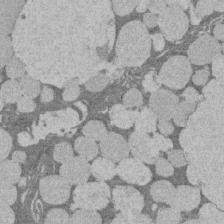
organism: Rat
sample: Salivary granule